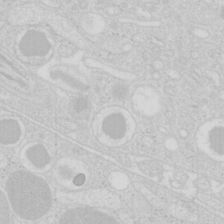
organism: Mouse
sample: Pancreas